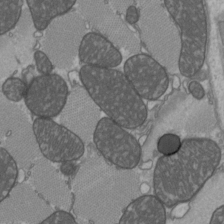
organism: C57BL Mouse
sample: Heart